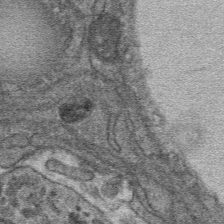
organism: Mouse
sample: Mouse hepatocytes